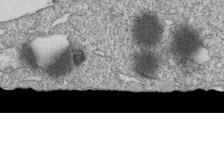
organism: Human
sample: HeLa cell HIV synapse